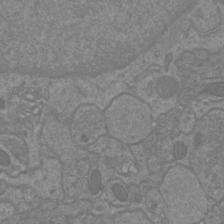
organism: Mouse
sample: Cortical neurons